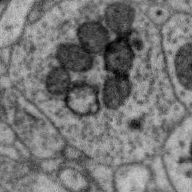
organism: Zebra finch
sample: Brain